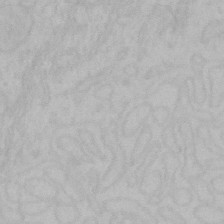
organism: Mouse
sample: Choroid plexus